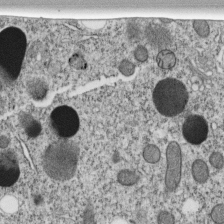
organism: C. elegans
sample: C. elegans embryo early stage